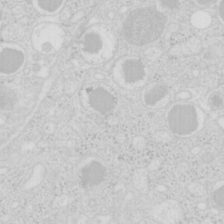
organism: Mouse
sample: Pancreas